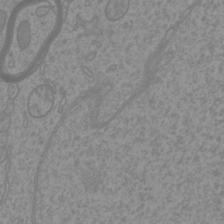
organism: Mouse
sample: Cortical neurons